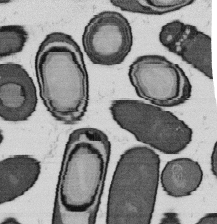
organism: B. subtilis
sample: Bacterial spore